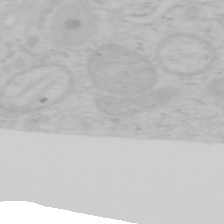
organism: Mouse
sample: OT-I killer T cells with ID8 ovarian cancer cells